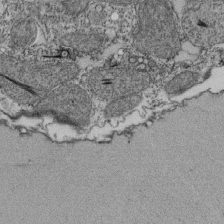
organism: Tetrahymena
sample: Cilia in tetrahymena